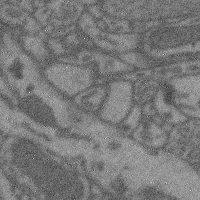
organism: Mouse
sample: Cerebral cortex